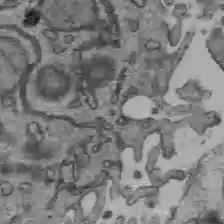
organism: C57BL Mouse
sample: Liver